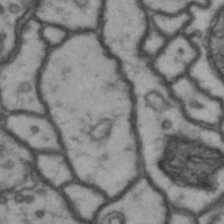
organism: Drosophila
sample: Brain